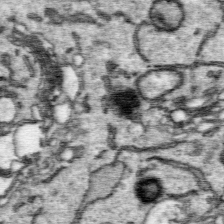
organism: Human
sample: HeLa cells